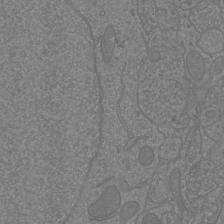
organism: Mouse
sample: Cortical neurons